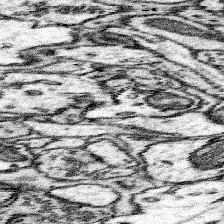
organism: Mouse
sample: Somatosensory cortex neuropil